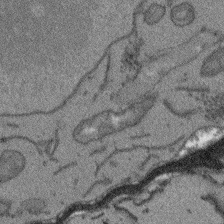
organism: Arabidopsis thaliana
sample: Root tip